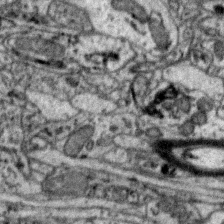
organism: Zebra finch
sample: Brain